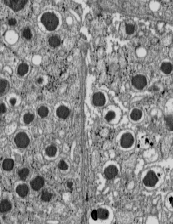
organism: C57BL Mouse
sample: Pancreatic islet